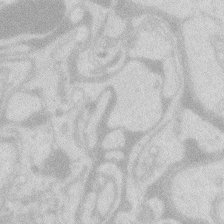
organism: Zebrafish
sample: Macrophage